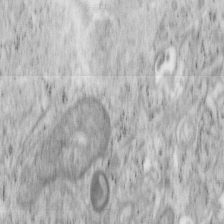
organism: Human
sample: HeLa cells